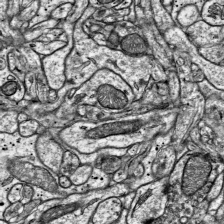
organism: Mouse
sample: Visual Cortex